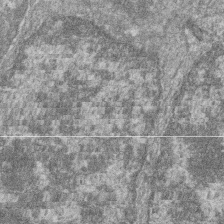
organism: Zebrafish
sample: Cilia; retinal pigment epithelium